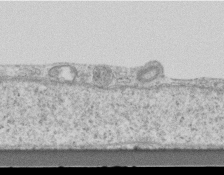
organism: Mouse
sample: Centriole in ependymal cells